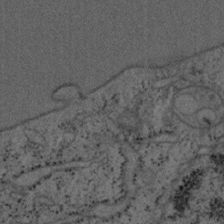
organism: Human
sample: HeLa cells